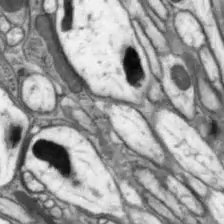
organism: Drosophila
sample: Optic lobe